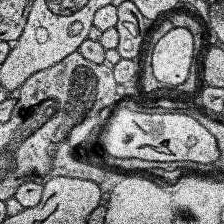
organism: Human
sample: Temporal Lobe